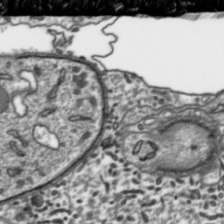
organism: Toxoplasma gondii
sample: Parasites in a vacuole inside a host cell